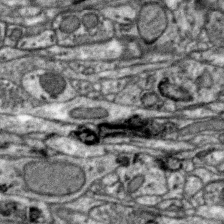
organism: Zebra finch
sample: Brain